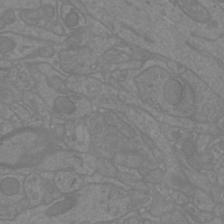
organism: Mouse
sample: Cortical neurons